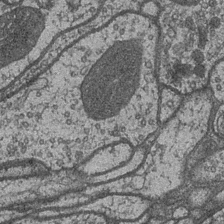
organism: Drosophila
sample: Optic medulla